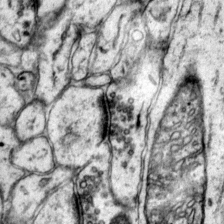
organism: Mouse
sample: Primary visual cortex